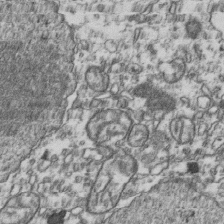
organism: Human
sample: Activated Jurkat CD4+ T cells